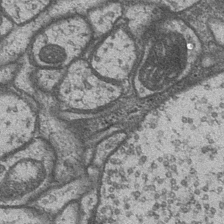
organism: Drosophila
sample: Optic medulla